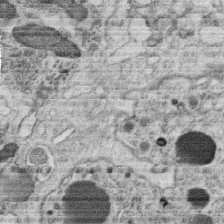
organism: C. elegans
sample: C. elegans oocyte; sperm cells